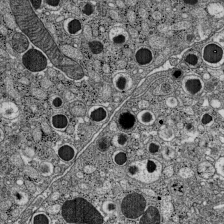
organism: C57BL Mouse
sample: Pancreatic islet